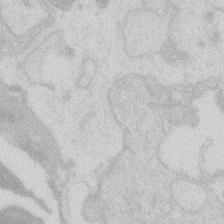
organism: Zebrafish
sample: Macrophage